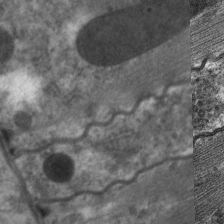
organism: C. elegans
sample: Pharynx